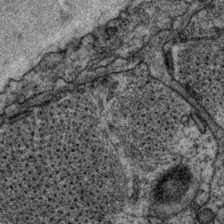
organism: P. pacificus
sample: Pharynx